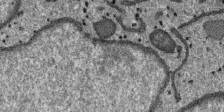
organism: Human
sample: Lung epithelial cells, uninfected (mock) control